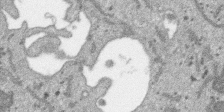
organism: Human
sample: Lung epithelial cells infected with SARS-CoV-2